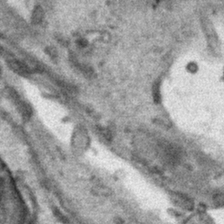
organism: Human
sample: Mitochondria in HCT116 cells